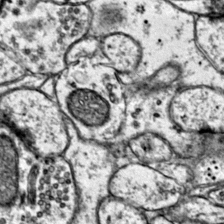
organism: Mouse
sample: Primary visual cortex